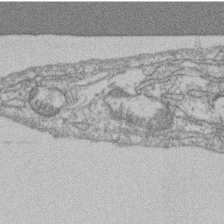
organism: Mouse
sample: T cell stromal cell synapse